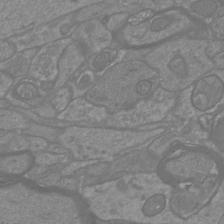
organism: Mouse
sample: Cortical neurons